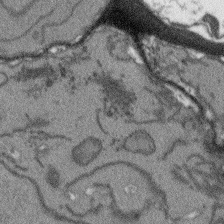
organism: Arabidopsis thaliana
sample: Root tip